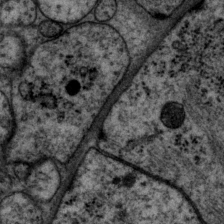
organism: P. pacificus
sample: Pharynx